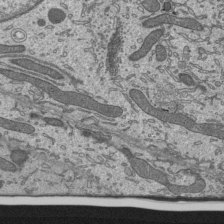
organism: Mouse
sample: Mouse epididymis efferent ductule cilia